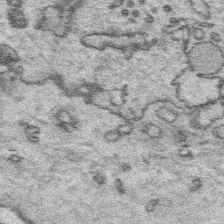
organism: Platynereis dumerilii